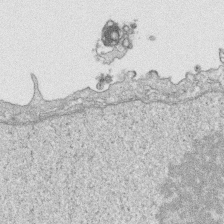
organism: Human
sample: HeLa cell HIV synapse